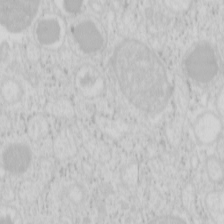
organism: Mouse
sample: Pancreas